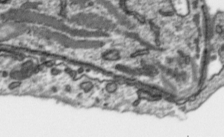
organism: Toxoplasma gondii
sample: Parasites in a vacuole inside a host cell